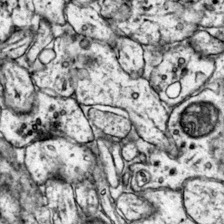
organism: Mouse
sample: Primary visual cortex